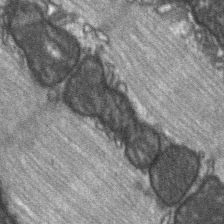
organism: C57BL Mouse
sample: Soleus